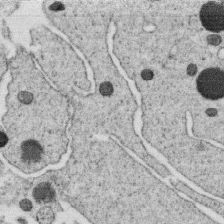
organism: C. elegans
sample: C. elegans oocyte; sperm cells